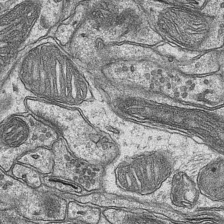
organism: Mouse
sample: CA1 Hippocampus